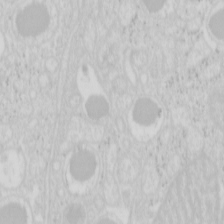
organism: Mouse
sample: Pancreas